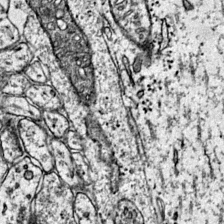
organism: Mouse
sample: Primary visual cortex